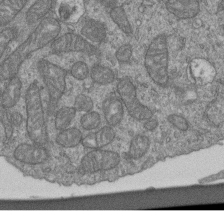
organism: Human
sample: Retinal organoid Rod and Cone cells